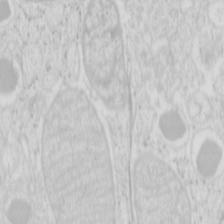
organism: Mouse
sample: Pancreas